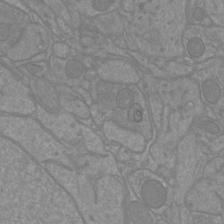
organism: Mouse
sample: Cortical neurons